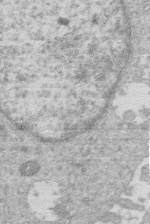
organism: Human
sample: Macrophage cells